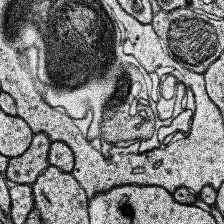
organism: Human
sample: Temporal Lobe